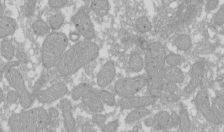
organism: Xenopus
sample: Cilia; centrioles in frog embryo cells